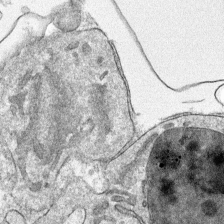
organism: Mouse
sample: Mouse hepatocytes